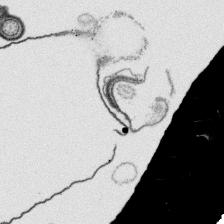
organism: Platynereis dumerilii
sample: Parapodia